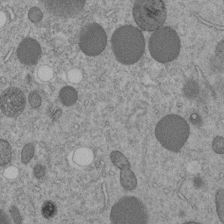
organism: C. elegans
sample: C. elegans embryo early stage